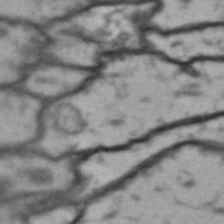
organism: Drosophila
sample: Brain